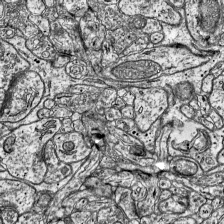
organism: Mouse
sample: Visual Cortex